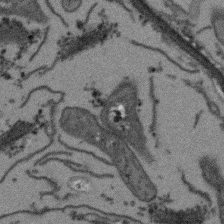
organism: Arabidopsis thaliana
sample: Root tip